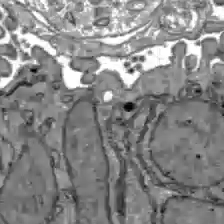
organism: C57BL Mouse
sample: Liver